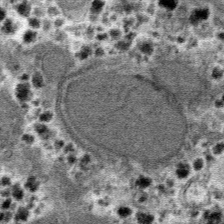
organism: Mouse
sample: Mouse hepatocytes